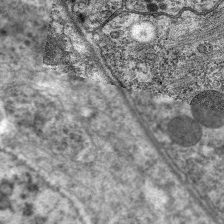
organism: C. elegans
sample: Pharynx